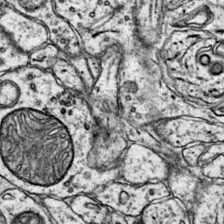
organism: Mouse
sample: Primary visual cortex